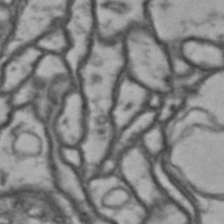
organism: Drosophila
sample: Brain